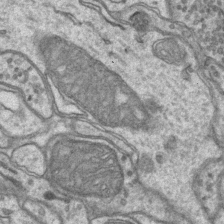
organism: Mouse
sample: CA1 Hippocampus